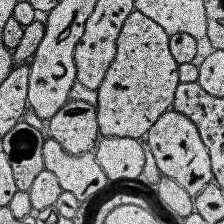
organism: Human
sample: Temporal Lobe